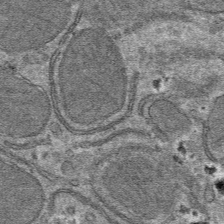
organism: Mouse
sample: Mouse hepatocytes